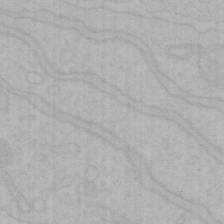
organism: Mouse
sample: Choroid plexus